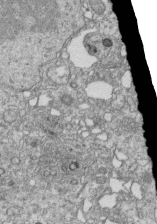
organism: Human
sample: HeLa cell HIV synapse